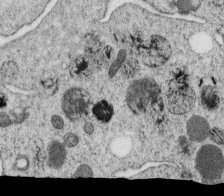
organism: C. elegans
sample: C. elegans oocyte; sperm cells